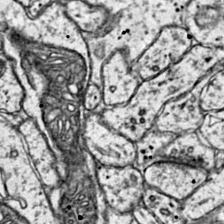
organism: Mouse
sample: Primary visual cortex